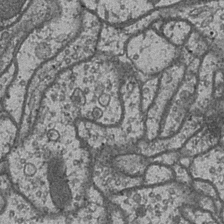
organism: Drosophila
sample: Optic medulla